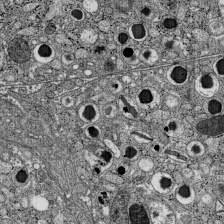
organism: C57BL Mouse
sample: Pancreatic islet